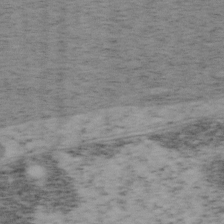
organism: Mouse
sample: OT-I killer T cells with ID8 ovarian cancer cells